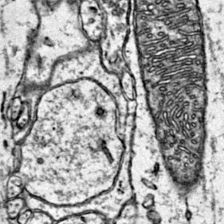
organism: Mouse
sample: Primary visual cortex